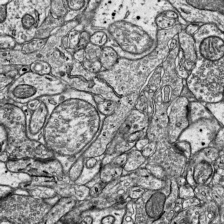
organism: Mouse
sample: Visual Cortex